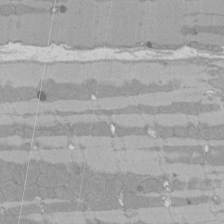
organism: Rat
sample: Left ventricle